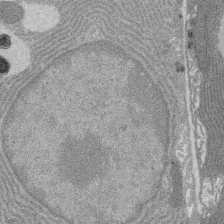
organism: Rat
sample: Salivary granule